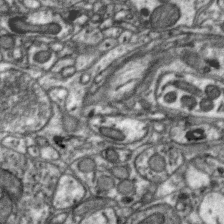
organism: Zebra finch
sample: Brain